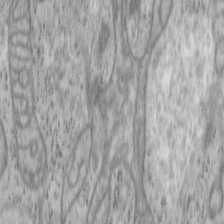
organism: Human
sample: HeLa cells